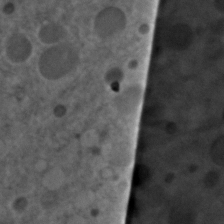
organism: C. elegans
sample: C. elegans embryo